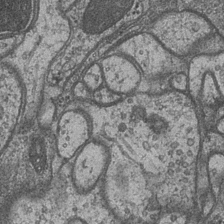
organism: Drosophila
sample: Optic medulla